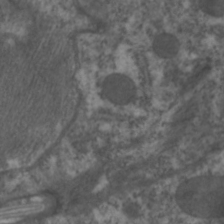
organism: C. elegans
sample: Pharynx